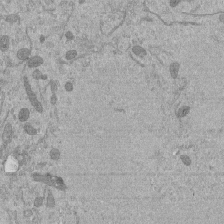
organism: Mouse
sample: ED-1 cell nuclei; centrioles